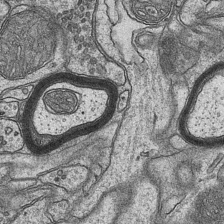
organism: Mouse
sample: CA1 Hippocampus